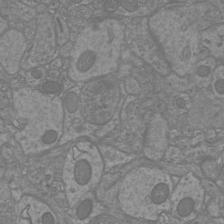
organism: Mouse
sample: Cortical neurons